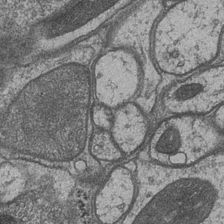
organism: Drosophila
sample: Optic medulla